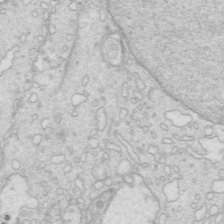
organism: Mouse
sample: Multiciliated cells